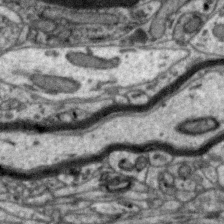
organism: Zebra finch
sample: Brain